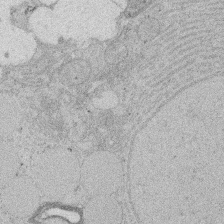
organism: Rat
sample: Salivary granule